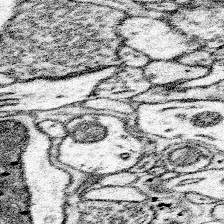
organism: Mouse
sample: Somatosensory cortex neuropil